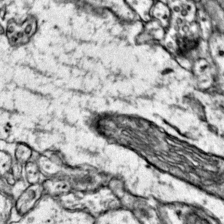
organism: Mouse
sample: Primary visual cortex